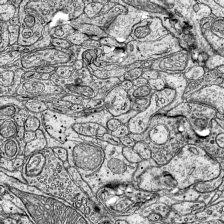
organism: Mouse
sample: Visual Cortex